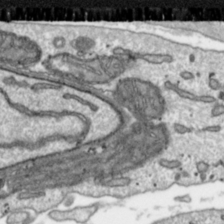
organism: Toxoplasma gondii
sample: Parasites in a vacuole inside a host cell